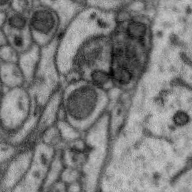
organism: Zebra finch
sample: Brain